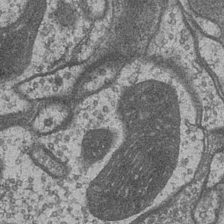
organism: Drosophila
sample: Optic medulla